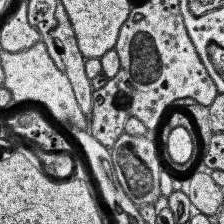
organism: Human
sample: Temporal Lobe